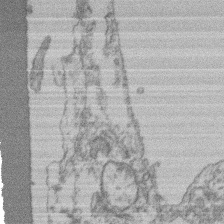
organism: Mouse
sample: T cell stromal cell synapse